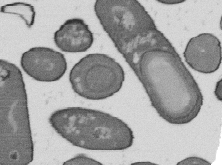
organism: B. subtilis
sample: Bacterial spore